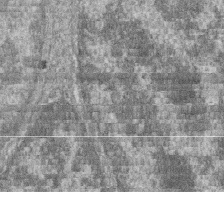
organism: Zebrafish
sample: Cilia; retinal pigment epithelium